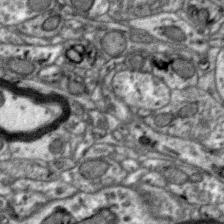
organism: Zebra finch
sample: Brain